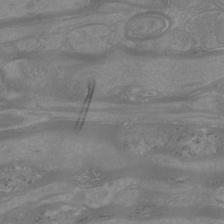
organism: Mouse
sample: Cortical neurons